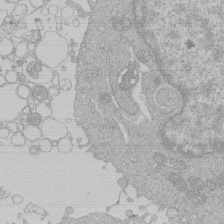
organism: Human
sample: Macrophage cells